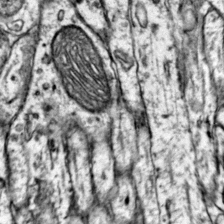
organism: Mouse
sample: Primary visual cortex